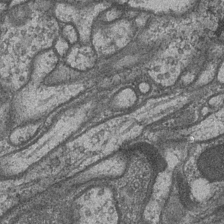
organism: Drosophila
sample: Optic medulla